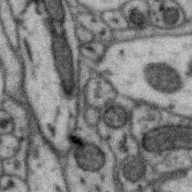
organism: Zebra finch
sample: Brain